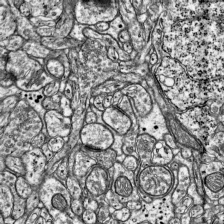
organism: Mouse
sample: Visual Cortex